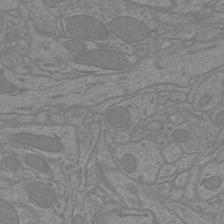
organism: Mouse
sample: Cortical neurons